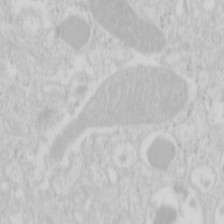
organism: Mouse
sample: Pancreas